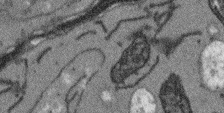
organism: Arabidopsis thaliana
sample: Root tip